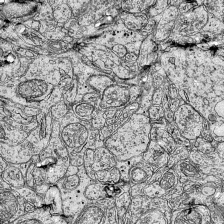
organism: Mouse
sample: Visual Cortex